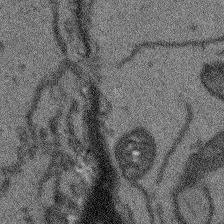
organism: Arabidopsis thaliana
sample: Root tip